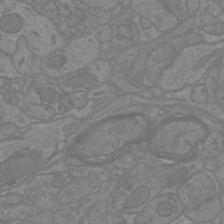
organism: Mouse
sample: Cortical neurons